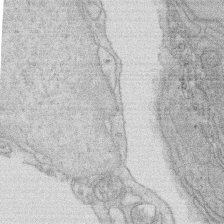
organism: Rat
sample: Salivary granule